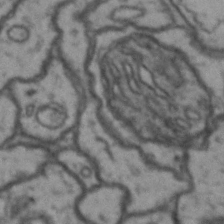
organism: Drosophila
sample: Brain